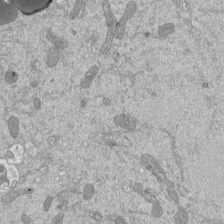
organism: Mouse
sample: ED-1 cell nuclei; centrioles